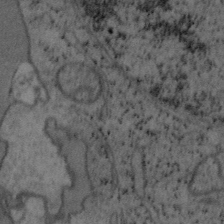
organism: Human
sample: HeLa cells